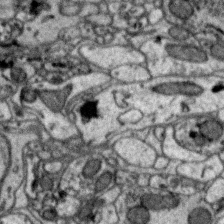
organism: Zebra finch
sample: Brain